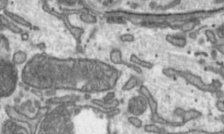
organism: Toxoplasma gondii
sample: Parasites in a vacuole inside a host cell